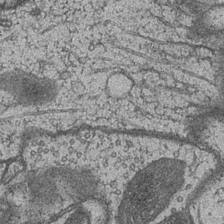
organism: Drosophila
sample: Optic medulla